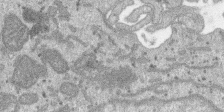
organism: Human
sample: Lung epithelial cells infected with SARS-CoV-2